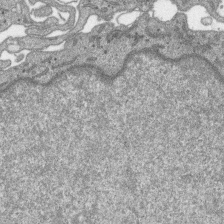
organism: Human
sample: Lung epithelial cells infected with SARS-CoV-2